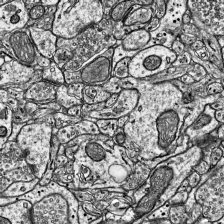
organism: Mouse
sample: Visual Cortex